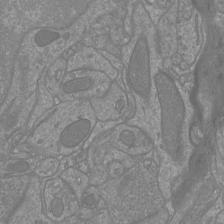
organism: Mouse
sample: Cortical neurons